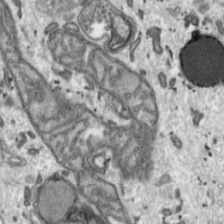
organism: Toxoplasma gondii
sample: Parasites in a vacuole inside a host cell